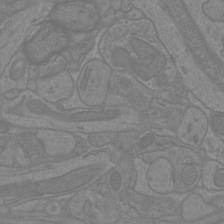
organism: Mouse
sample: Cortical neurons